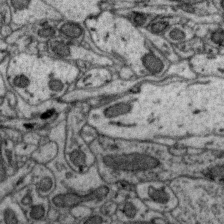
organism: Zebra finch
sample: Brain